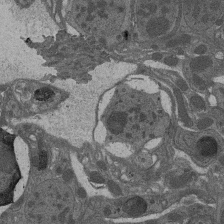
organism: Drosophila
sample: Antenna